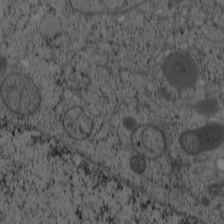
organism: African green monkey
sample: COS-7 cells